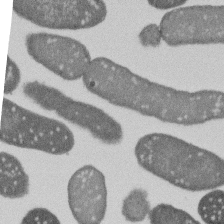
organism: E. coli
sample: Bacterial nucleoid